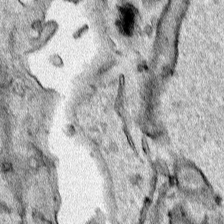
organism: Human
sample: Mitochondria in HCT116 cells